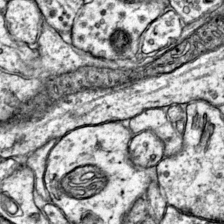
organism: Mouse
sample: Primary visual cortex